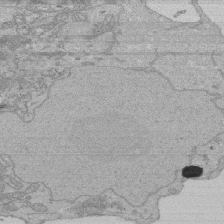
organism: Human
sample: Activated Jurkat CD4+ T cells